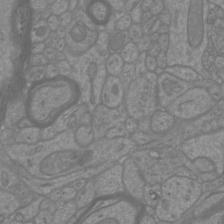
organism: Mouse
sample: Cortical neurons